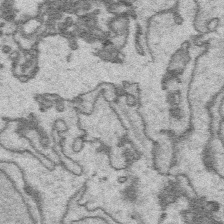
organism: Platynereis dumerilii